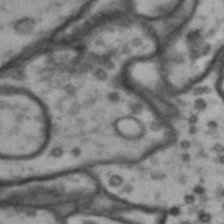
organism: Drosophila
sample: Brain